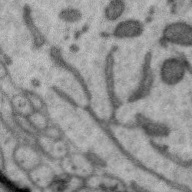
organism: Zebra finch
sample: Brain